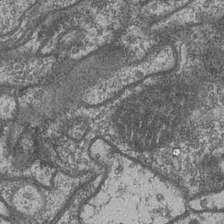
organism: Drosophila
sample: Optic medulla